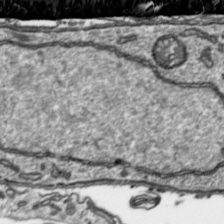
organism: Toxoplasma gondii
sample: Parasites in a vacuole inside a host cell